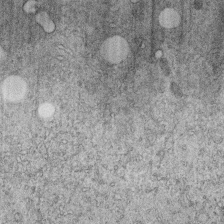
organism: C. elegans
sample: C. elegans embryo early stage